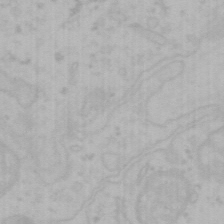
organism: Mouse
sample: Choroid plexus